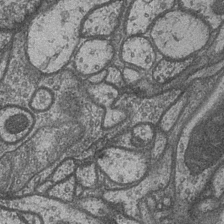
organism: Drosophila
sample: Optic medulla